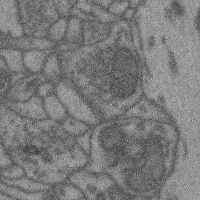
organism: Mouse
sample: Cerebral cortex